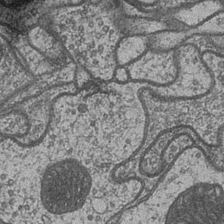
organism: Drosophila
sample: Optic medulla